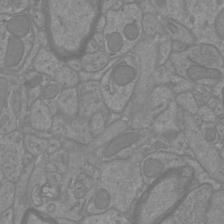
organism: Mouse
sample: Cortical neurons